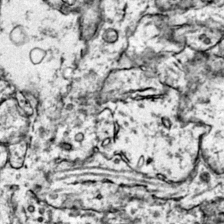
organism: Mouse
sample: Primary visual cortex